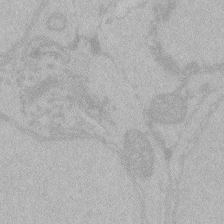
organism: Zebrafish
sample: Macrophage infected with Toxoplasma gondii